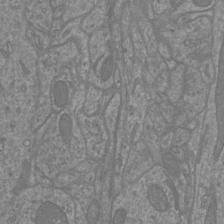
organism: Mouse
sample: Cortical neurons